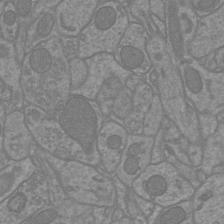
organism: Mouse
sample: Cortical neurons